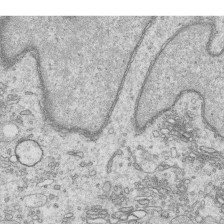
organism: Human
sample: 1205lu cells